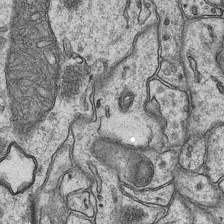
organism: Mouse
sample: CA1 Hippocampus